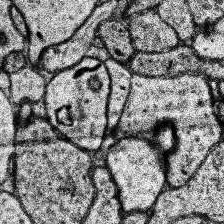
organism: Human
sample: Temporal Lobe